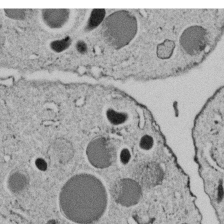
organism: C. elegans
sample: C. elegans embryo early stage